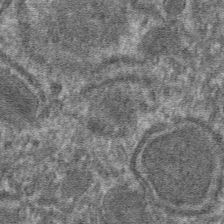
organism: Mouse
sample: Mouse hepatocytes